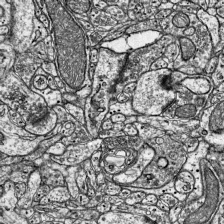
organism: Mouse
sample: Visual Cortex